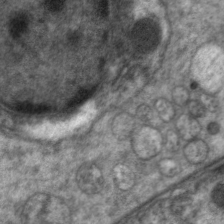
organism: C. elegans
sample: Pharynx